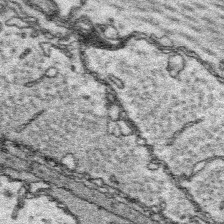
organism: Platynereis dumerilii